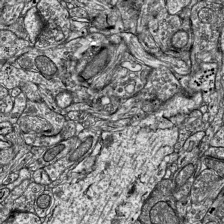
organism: Mouse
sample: Visual Cortex